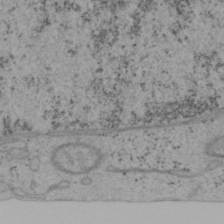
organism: Human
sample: HeLa cells